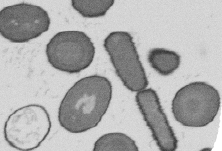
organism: B. subtilis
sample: Bacterial spore